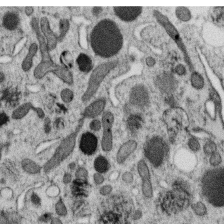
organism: C. elegans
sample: C. elegans oocyte; sperm cells